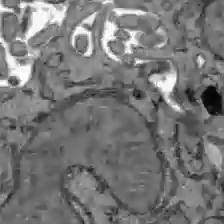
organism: C57BL Mouse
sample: Liver